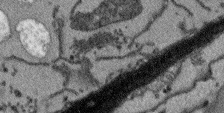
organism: Arabidopsis thaliana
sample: Root tip